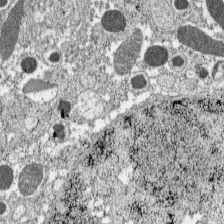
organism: C57BL Mouse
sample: Pancreatic islet